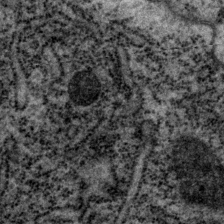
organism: P. pacificus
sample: Pharynx